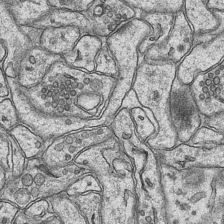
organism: Mouse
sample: CA1 Hippocampus